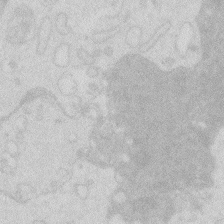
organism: Zebrafish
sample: Macrophage